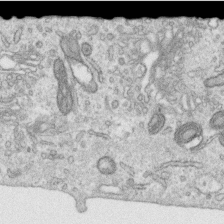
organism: Human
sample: Centriole in RPE cells